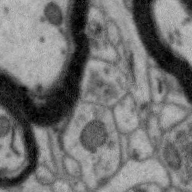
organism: Zebra finch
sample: Brain